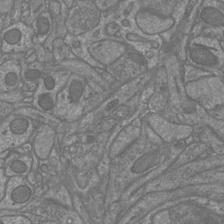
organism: Mouse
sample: Cortical neurons